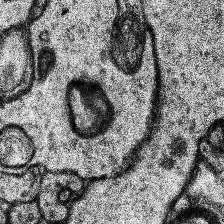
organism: Human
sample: Temporal Lobe